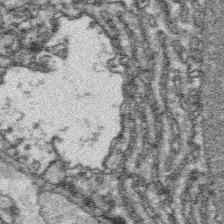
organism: Platynereis dumerilii